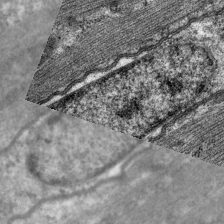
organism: C. elegans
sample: Pharynx